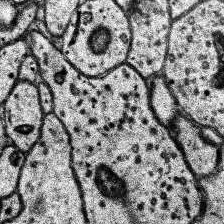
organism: Human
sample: Temporal Lobe